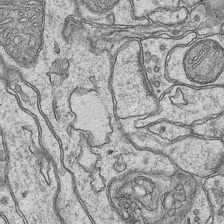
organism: Mouse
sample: CA1 Hippocampus